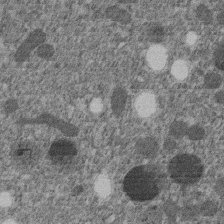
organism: C. elegans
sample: C. elegans embryo early stage